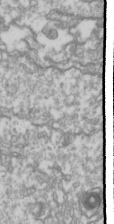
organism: Drosophila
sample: Cell division; meiosis; drosophila spermatocytes